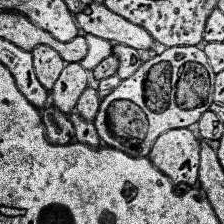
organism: Human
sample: Temporal Lobe